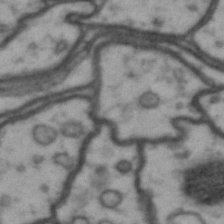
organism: Drosophila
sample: Brain